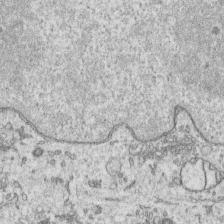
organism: Human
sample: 1205lu cells